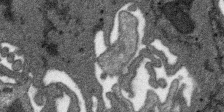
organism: Human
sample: Lung epithelial cells infected with SARS-CoV-2